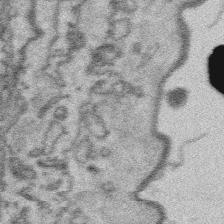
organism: Platynereis dumerilii